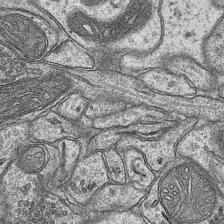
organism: Mouse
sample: CA1 Hippocampus